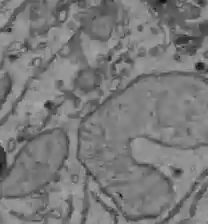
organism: C57BL Mouse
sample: Liver